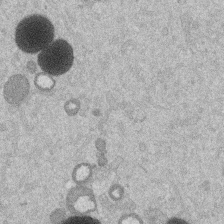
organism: Mouse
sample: Dividing mouse embryo 1 cell stage